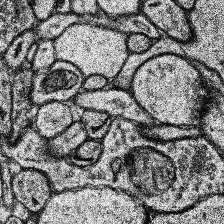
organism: Human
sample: Temporal Lobe